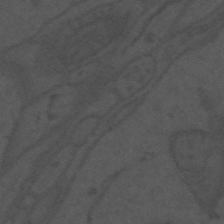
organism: Mouse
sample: Suprachiasmatic nucleus